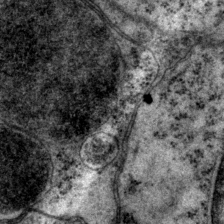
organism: P. pacificus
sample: Pharynx